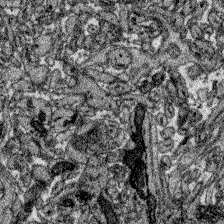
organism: Zebrafish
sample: Larval olfactory bulb